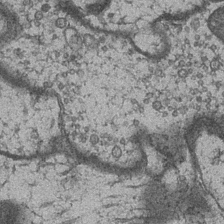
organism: Drosophila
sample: Optic medulla